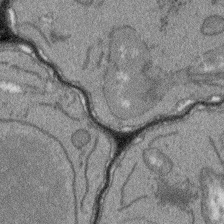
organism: Arabidopsis thaliana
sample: Root tip